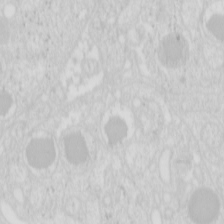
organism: Mouse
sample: Pancreas